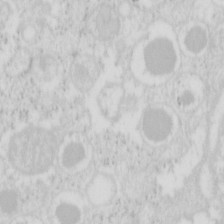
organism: Mouse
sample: Pancreas